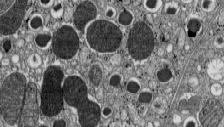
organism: C57BL Mouse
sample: Pancreatic islet